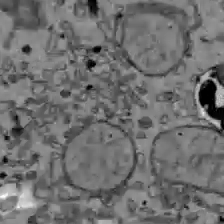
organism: C57BL Mouse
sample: Liver